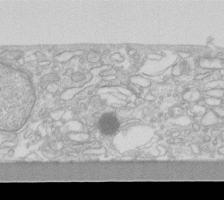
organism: Human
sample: Fibroblast cells